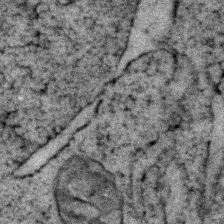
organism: Zebrafish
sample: Zebrafish embryo